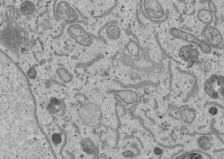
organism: Human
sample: Mitochondria in U2OS cells